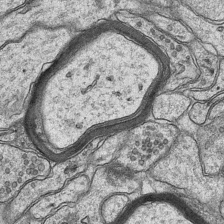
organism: Mouse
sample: CA1 Hippocampus